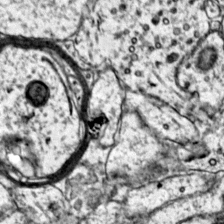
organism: Mouse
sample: Primary visual cortex